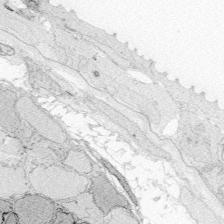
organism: Zebrafish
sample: Whole-Brain